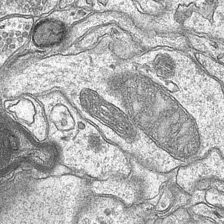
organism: Mouse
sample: CA1 Hippocampus